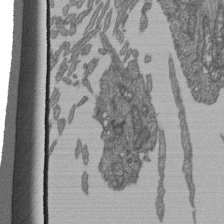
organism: Human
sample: Retinal organoid Rod and Cone cells